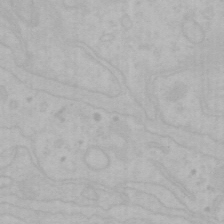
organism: Mouse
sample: Choroid plexus